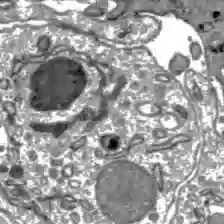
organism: C57BL Mouse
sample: Liver